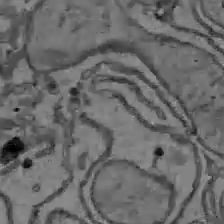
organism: C57BL Mouse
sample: Liver